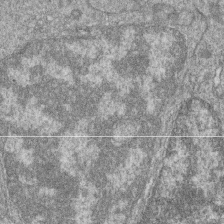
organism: Zebrafish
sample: Cilia; retinal pigment epithelium